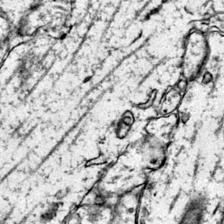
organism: Mouse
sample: Primary visual cortex